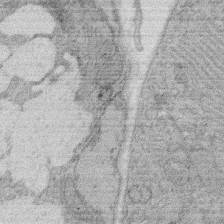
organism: Rat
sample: Salivary granule